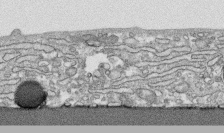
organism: Human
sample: CRL-1474